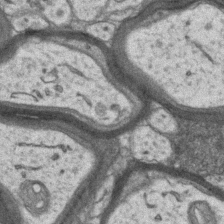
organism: Mouse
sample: CA1 Hippocampus